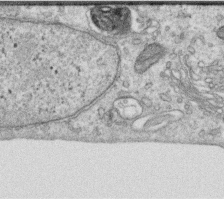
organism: Human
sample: Centriole in RPE cells